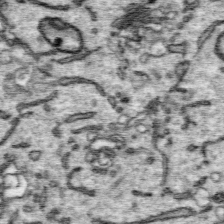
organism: Human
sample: HeLa cells